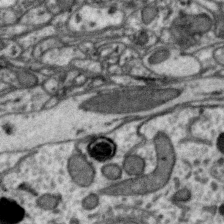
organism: Zebra finch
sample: Brain